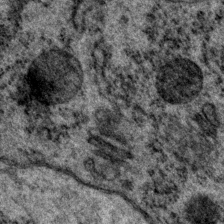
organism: P. pacificus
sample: Pharynx